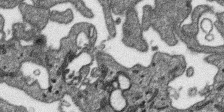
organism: Human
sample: Lung epithelial cells infected with SARS-CoV-2